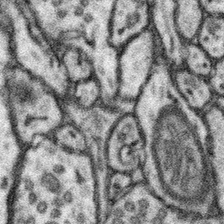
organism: Mouse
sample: Somatosensory cortex neuropil